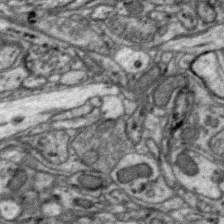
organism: Zebra finch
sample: Brain